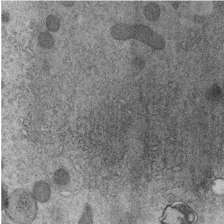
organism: C. elegans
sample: C. elegans embryo early stage